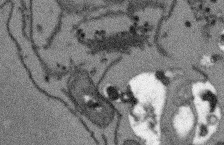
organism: Arabidopsis thaliana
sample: Root tip